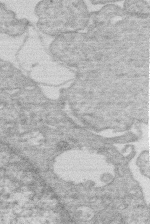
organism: Human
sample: Macrophage cells